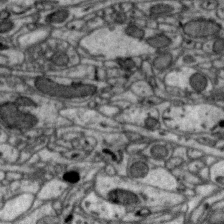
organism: Zebra finch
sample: Brain